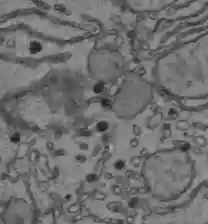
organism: C57BL Mouse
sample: Liver